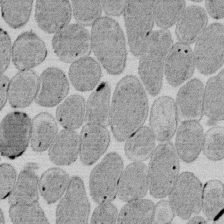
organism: E. coli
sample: Bacterial nucleoid